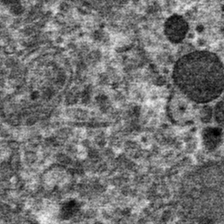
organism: Mouse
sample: Mouse hepatocytes